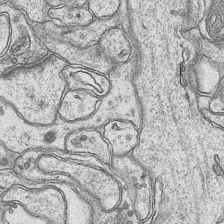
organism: Mouse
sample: CA1 Hippocampus